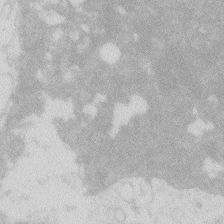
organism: Zebrafish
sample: Macrophage